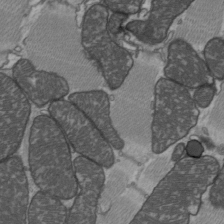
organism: C57BL Mouse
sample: Heart